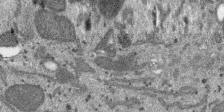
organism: Human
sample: Lung epithelial cells infected with SARS-CoV-2